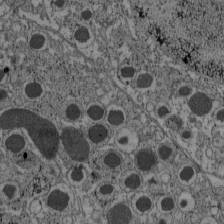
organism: C57BL Mouse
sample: Pancreatic islet